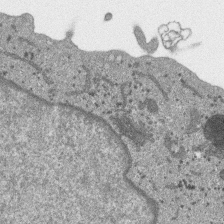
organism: Human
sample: Lung epithelial cells infected with SARS-CoV-2